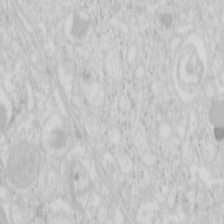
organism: Mouse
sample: Pancreas